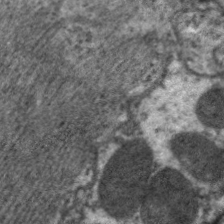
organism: C. elegans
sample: Pharynx